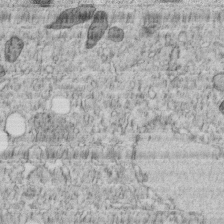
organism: C. elegans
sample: C. elegans embryo early stage